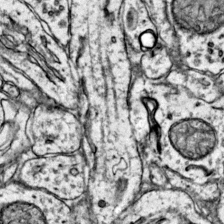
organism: Mouse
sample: Primary visual cortex